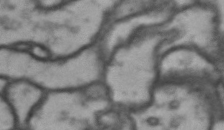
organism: Drosophila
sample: Brain